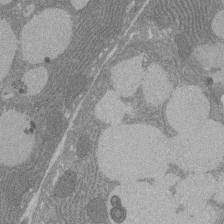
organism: Rat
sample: Salivary granule